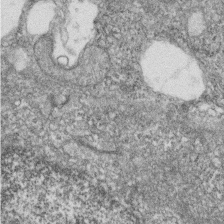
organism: Zebrafish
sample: Cilia; retinal pigment epithelium